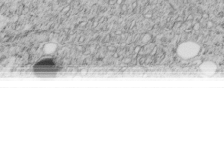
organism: C. elegans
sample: C. elegans embryo early stage